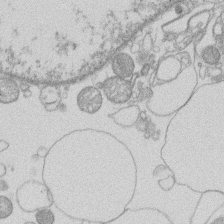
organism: Human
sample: Macrophage cells